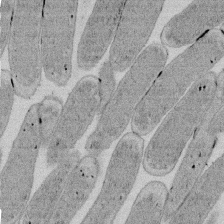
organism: E. coli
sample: Bacterial nucleoid